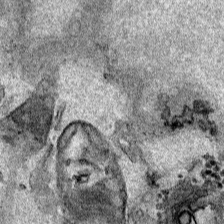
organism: Human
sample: Mitochondria in HCT116 cells